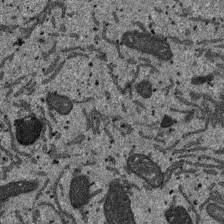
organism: Human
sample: Lung epithelial cells infected with SARS-CoV-2